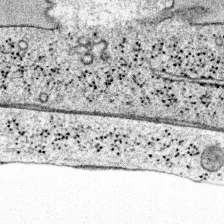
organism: Human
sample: HeLa cells